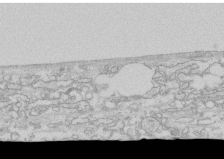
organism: Human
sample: CRL-1474